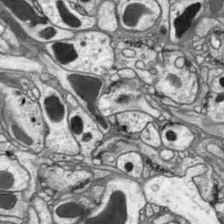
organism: Drosophila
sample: Optic lobe